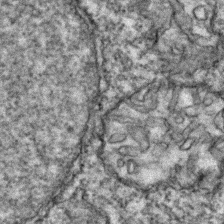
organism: Zebrafish